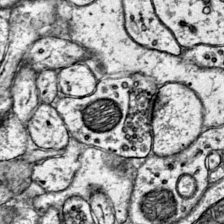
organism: Mouse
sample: Primary visual cortex